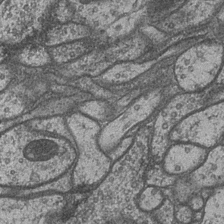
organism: Drosophila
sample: Optic medulla